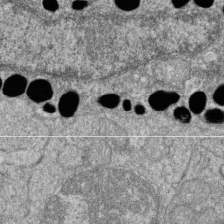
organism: Zebrafish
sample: Cilia; retinal pigment epithelium